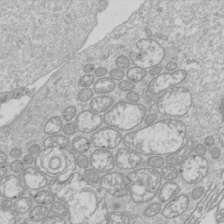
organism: Drosophila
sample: Cell division; meiosis; drosophila spermatocytes